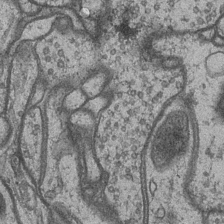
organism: Drosophila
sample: Optic medulla